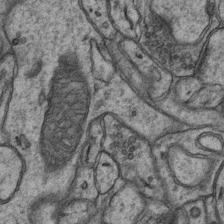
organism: Mouse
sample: CA1 Hippocampus